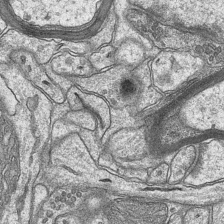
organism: Mouse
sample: CA1 Hippocampus